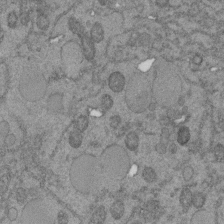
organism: C. elegans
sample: C. elegans embryo early stage